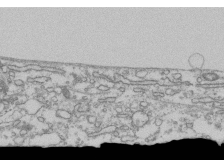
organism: Human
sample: Fibroblast cells